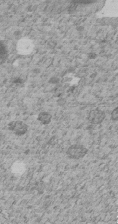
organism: C. elegans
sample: C. elegans embryo early stage